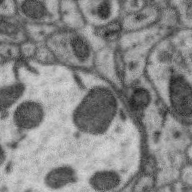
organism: Zebra finch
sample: Brain